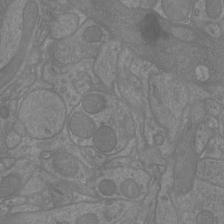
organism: Mouse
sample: Cortical neurons